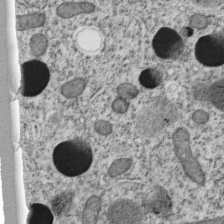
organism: C. elegans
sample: C. elegans embryo early stage